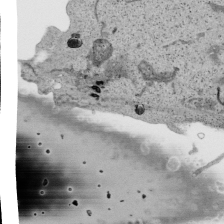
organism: Human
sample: Mitochondria in HCT116 cells